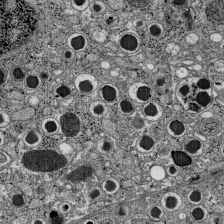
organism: C57BL Mouse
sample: Pancreatic islet